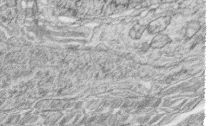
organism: Zebrafish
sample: synaptic ribbons in rod cells and cone cells